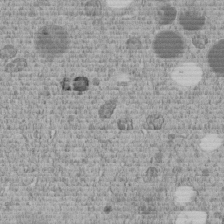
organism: C. elegans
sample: C. elegans embryo early stage